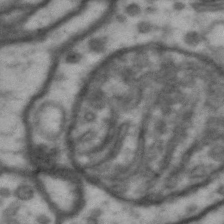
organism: Drosophila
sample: Brain